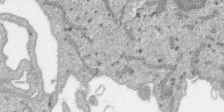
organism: Human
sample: Lung epithelial cells infected with SARS-CoV-2